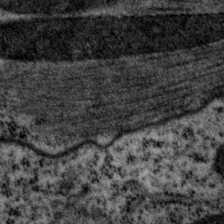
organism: P. pacificus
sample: Pharynx